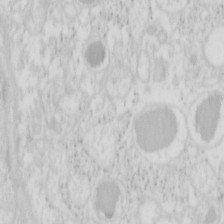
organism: Mouse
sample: Pancreas